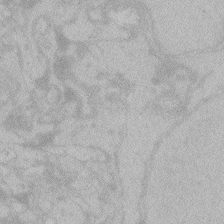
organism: Zebrafish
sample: Macrophage infected with Toxoplasma gondii